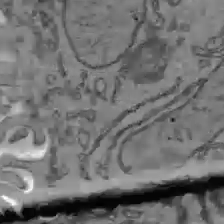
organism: C57BL Mouse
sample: Liver